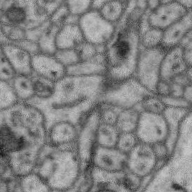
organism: Zebra finch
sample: Brain